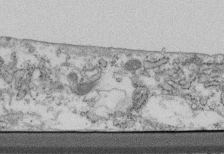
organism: Mouse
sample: Cilia; retinal pigment epithelium